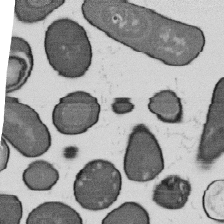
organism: B. subtilis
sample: Bacterial spore